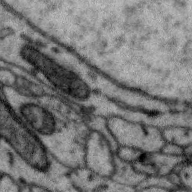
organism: Zebra finch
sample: Brain